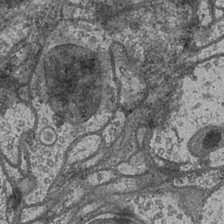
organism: Drosophila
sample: Optic medulla